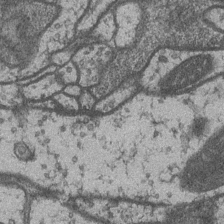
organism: Drosophila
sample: Optic medulla